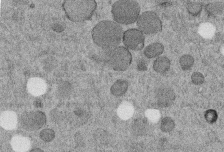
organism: C. elegans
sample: C. elegans embryo early stage